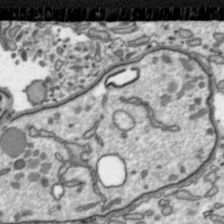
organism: Toxoplasma gondii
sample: Parasites in a vacuole inside a host cell